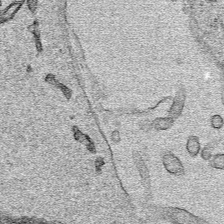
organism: Human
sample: Mitochondria in HCT116 cells